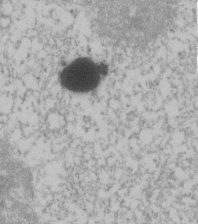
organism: Human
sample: U2-OS cells